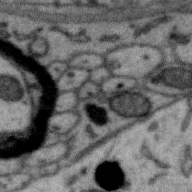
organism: Zebra finch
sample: Brain